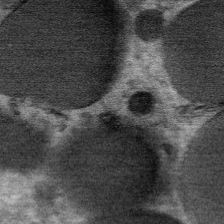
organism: Mouse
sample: Mouse Salivary gland